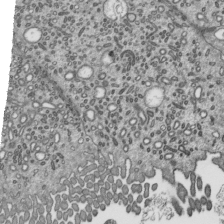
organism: Mouse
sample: Mouse epididymis efferent ductule cilia